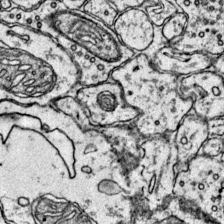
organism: Mouse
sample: Primary visual cortex